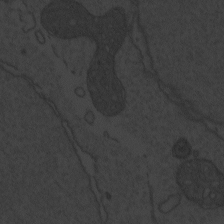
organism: Zebrafish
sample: Macrophage infected with Toxoplasma gondii